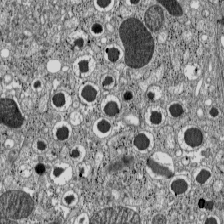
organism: C57BL Mouse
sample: Pancreatic islet